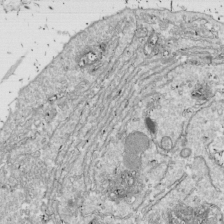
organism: Drosophila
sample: Cell division; meiosis; drosophila spermatocytes